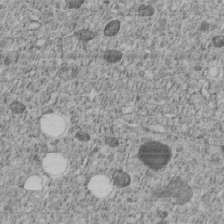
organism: C. elegans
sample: C. elegans embryo early stage